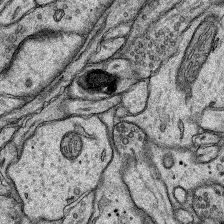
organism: Rat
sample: Hippocampus